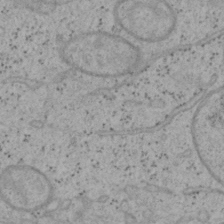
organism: Human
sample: HeLa cells